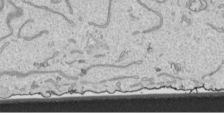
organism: Human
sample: Mitochondria in HCT116 cells